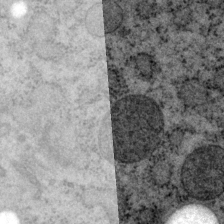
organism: P. pacificus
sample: Pharynx